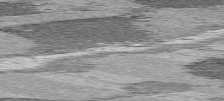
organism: C57BL Mouse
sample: Heart